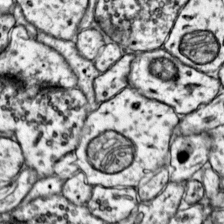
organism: Mouse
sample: Primary visual cortex